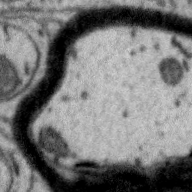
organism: Zebra finch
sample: Brain